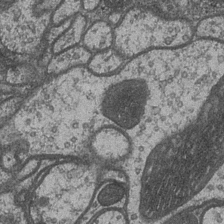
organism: Drosophila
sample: Optic medulla